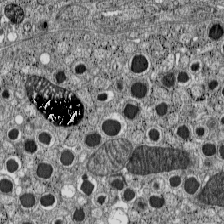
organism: C57BL Mouse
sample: Pancreatic islet